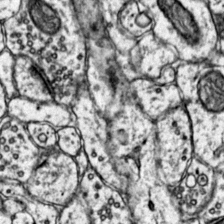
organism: Mouse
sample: Primary visual cortex